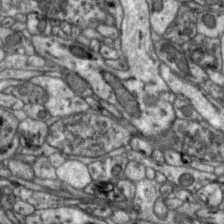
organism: Zebra finch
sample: Brain